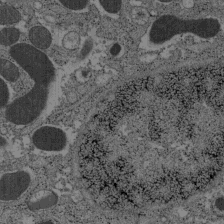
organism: C57BL Mouse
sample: Pancreatic islet